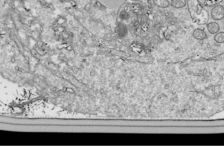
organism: Drosophila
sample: Cell division; meiosis; drosophila spermatocytes